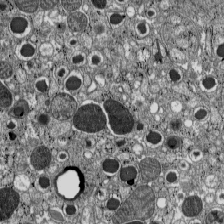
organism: C57BL Mouse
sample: Pancreatic islet